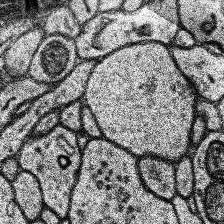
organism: Human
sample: Temporal Lobe